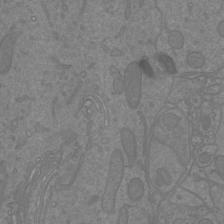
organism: Mouse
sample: Cortical neurons